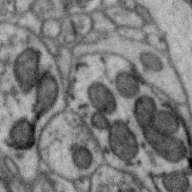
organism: Zebra finch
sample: Brain